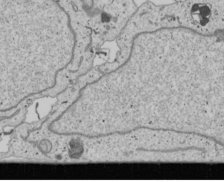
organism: Human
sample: Mitochondria in U2OS cells